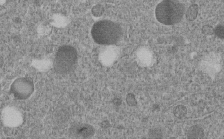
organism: C. elegans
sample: C. elegans embryo early stage